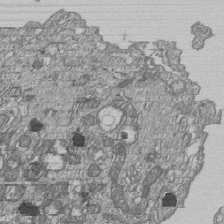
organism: Human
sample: MDA-MB-231 cells